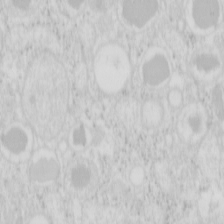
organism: Mouse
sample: Pancreas